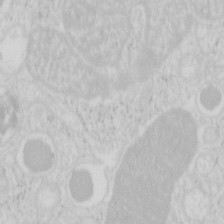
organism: Mouse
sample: Pancreas